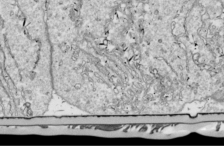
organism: Drosophila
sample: Cell division; meiosis; drosophila spermatocytes